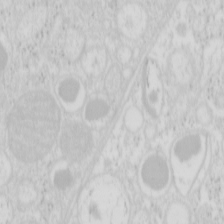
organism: Mouse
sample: Pancreas